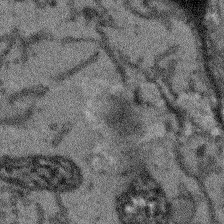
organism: Arabidopsis thaliana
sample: Root tip